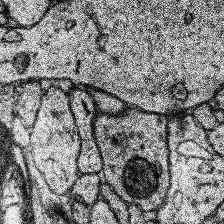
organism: Human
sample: Temporal Lobe